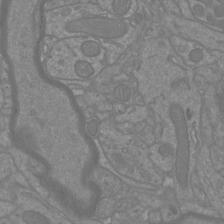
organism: Mouse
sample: Cortical neurons